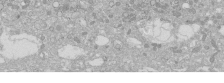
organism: Human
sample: Caco-2 cells